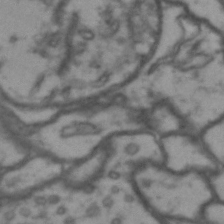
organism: Drosophila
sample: Brain